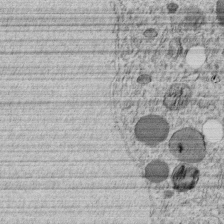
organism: C. elegans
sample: C. elegans embryo early stage